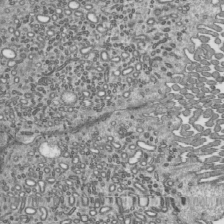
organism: Mouse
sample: Mouse epididymis efferent ductule cilia